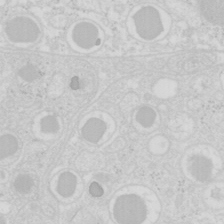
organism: Mouse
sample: Pancreas